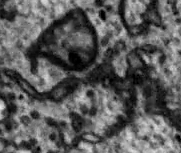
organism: Human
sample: HeLa cells